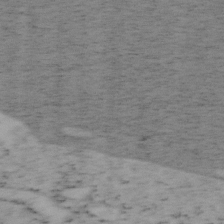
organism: Mouse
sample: OT-I killer T cells with ID8 ovarian cancer cells